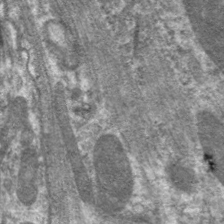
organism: C. elegans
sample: Pharynx